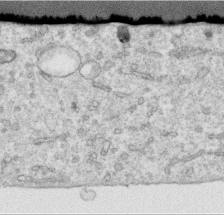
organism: Human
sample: Centriole in RPE cells